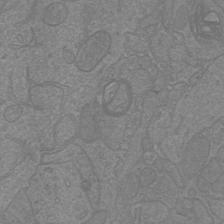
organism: Mouse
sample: Cortical neurons